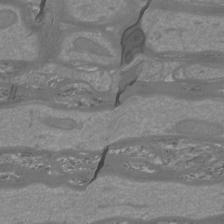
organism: Mouse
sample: Cortical neurons